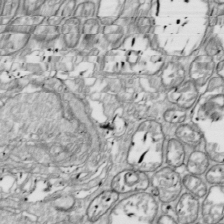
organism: Drosophila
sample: Cell division; meiosis; drosophila spermatocytes